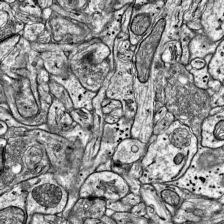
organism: Mouse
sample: Visual Cortex